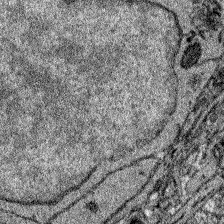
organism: Zebrafish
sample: Larval olfactory bulb